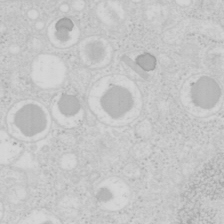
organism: Mouse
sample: Pancreas